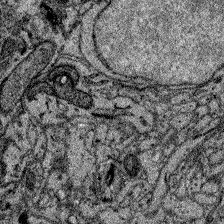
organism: Zebrafish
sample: Larval olfactory bulb